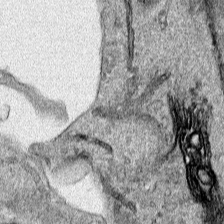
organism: Human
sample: Mitochondria in HCT116 cells